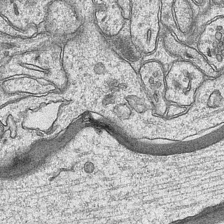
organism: Mouse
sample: CA1 Hippocampus